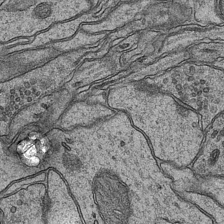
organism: Mouse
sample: CA1 Hippocampus